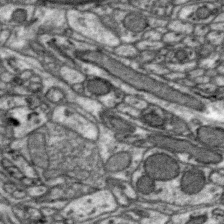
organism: Zebra finch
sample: Brain